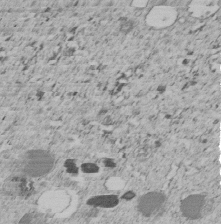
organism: C. elegans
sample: C. elegans embryo early stage